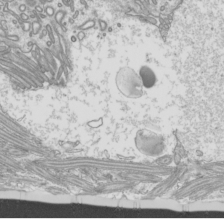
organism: Mouse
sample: Cilia; mouse epididymis